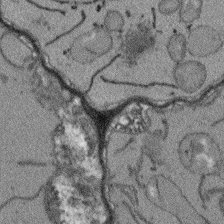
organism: Arabidopsis thaliana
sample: Root tip